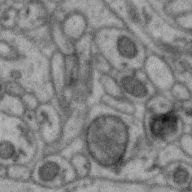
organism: Zebra finch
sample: Brain